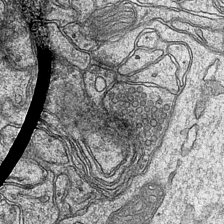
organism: Mouse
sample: CA1 Hippocampus